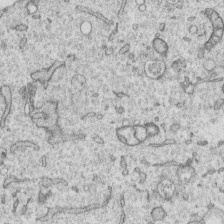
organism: Human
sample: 1205lu cells